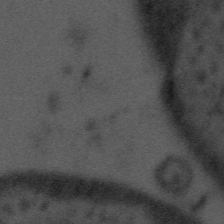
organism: Tuwongella immobilis